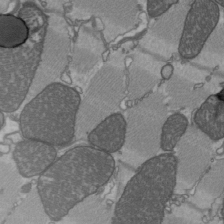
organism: C57BL Mouse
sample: Heart